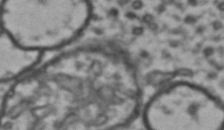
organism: Drosophila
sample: Brain